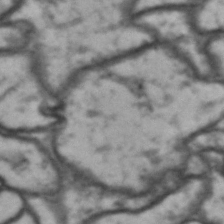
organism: Drosophila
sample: Brain